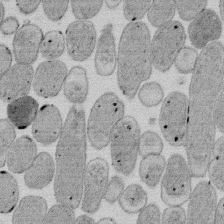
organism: E. coli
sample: Bacterial nucleoid